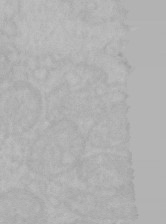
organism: Mouse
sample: Choroid plexus